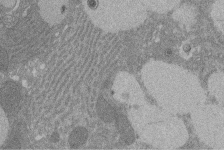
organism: Rat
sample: Salivary granule